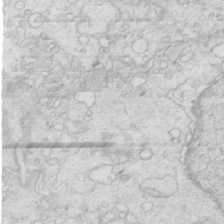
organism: Mouse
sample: Multiciliated cells